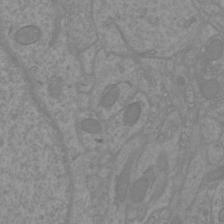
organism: Mouse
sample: Cortical neurons